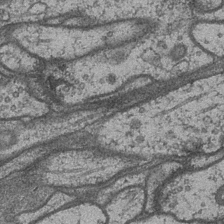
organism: Drosophila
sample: Optic medulla